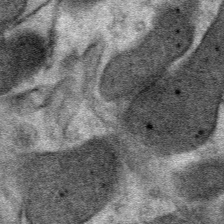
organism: Mouse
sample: Mouse Salivary gland